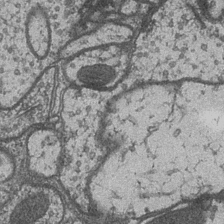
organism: Drosophila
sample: Optic medulla